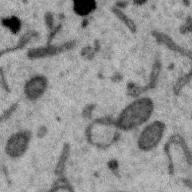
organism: Zebra finch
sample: Brain